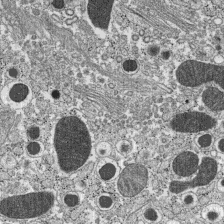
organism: C57BL Mouse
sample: Pancreatic islet